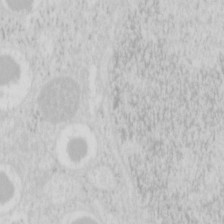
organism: Mouse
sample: Pancreas